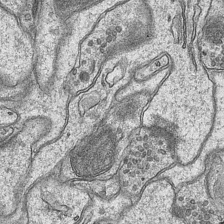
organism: Mouse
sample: CA1 Hippocampus